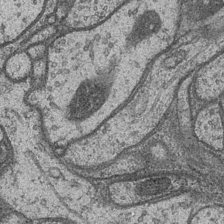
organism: Drosophila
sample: Optic medulla